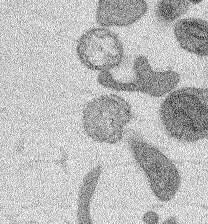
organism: Human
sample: HeLa cells